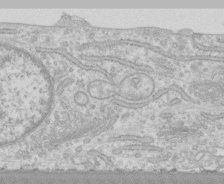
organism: Human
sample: CRL-1474